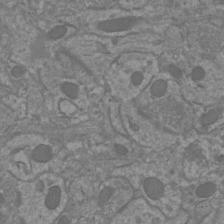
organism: Mouse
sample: Cortical neurons